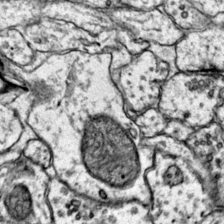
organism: Mouse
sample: Primary visual cortex